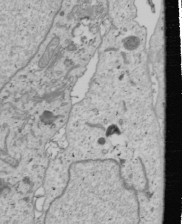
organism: Human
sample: Mitochondria in U2OS cells